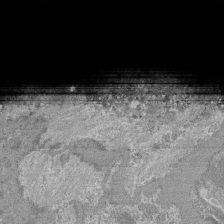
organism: Mouse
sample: Glomerulus